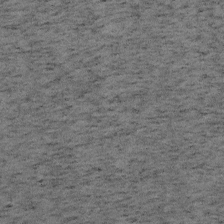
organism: Mouse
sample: OT-I killer T cells with ID8 ovarian cancer cells